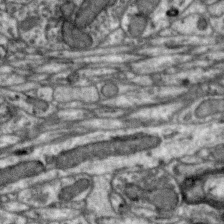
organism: Zebra finch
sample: Brain